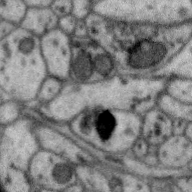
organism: Zebra finch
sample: Brain